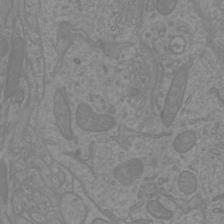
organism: Mouse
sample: Cortical neurons